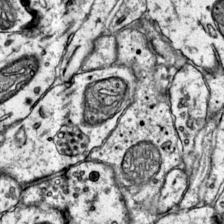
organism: Mouse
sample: Primary visual cortex